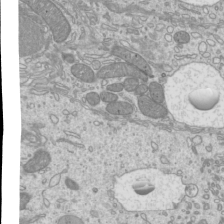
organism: Mouse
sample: Cilia; mouse epididymis